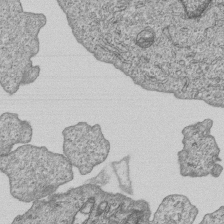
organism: Human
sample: MDA-MB-231 cells